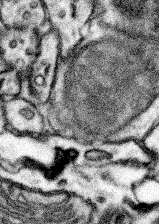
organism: Mouse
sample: Somatosensory cortex neuropil